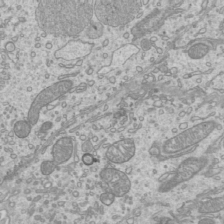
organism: Mouse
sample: Cilia; mouse epididymis